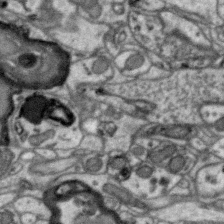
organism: Zebra finch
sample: Brain